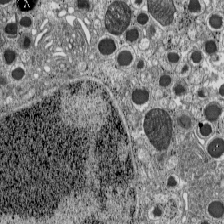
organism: C57BL Mouse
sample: Pancreatic islet